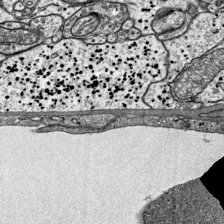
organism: Mouse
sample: Visual Cortex